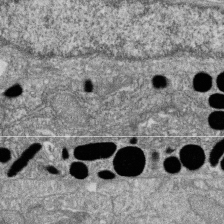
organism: Zebrafish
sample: Cilia; retinal pigment epithelium